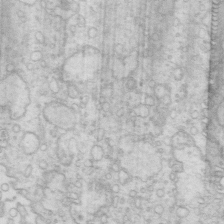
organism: Mouse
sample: Multiciliated cells